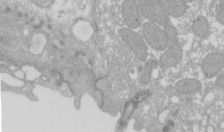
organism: Xenopus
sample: Cilia; centrioles in frog embryo cells